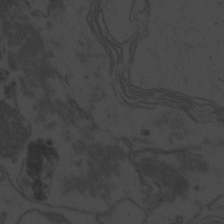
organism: Zebrafish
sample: Macrophage infected with Toxoplasma gondii